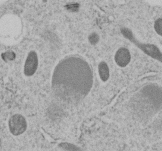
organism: C. elegans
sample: C. elegans embryo early stage